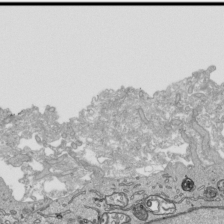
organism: Human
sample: Mitochondria in HCT116 cells